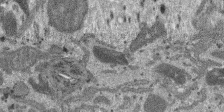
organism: Human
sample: Lung epithelial cells infected with SARS-CoV-2